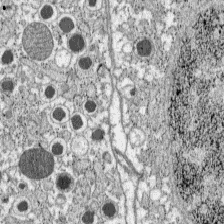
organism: C57BL Mouse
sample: Pancreatic islet